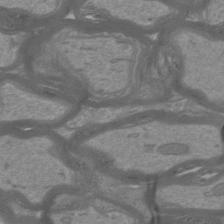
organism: Mouse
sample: Cortical neurons